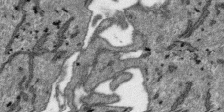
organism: Human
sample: Lung epithelial cells, uninfected (mock) control